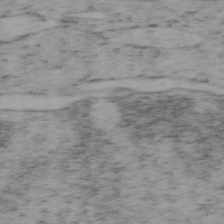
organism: Mouse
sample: OT-I killer T cells with ID8 ovarian cancer cells